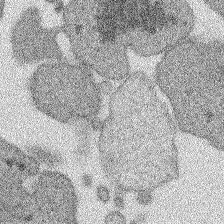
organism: Human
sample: HeLa cells